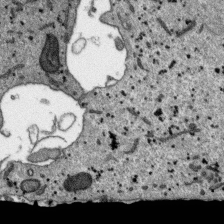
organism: Human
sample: Lung epithelial cells, uninfected (mock) control